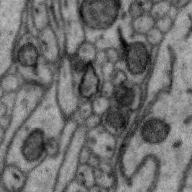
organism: Zebra finch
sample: Brain